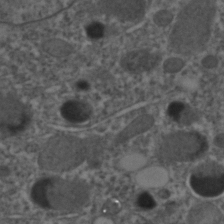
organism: C. elegans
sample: C. elegans embryo